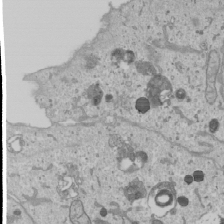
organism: Human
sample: Mitochondria in U2OS cells